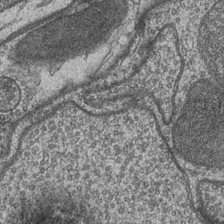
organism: Drosophila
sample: Optic medulla